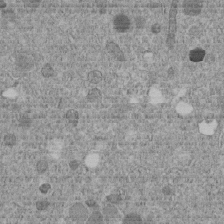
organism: C. elegans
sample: C. elegans embryo early stage